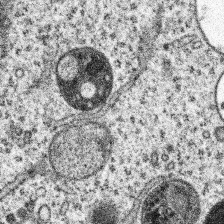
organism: Human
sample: HeLa cells